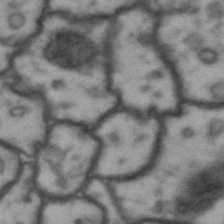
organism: Drosophila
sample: Brain